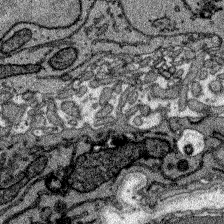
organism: Zebrafish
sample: Larval olfactory bulb